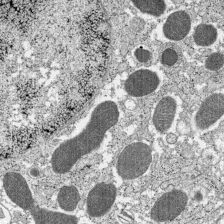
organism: C57BL Mouse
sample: Pancreatic islet